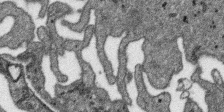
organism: Human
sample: Lung epithelial cells infected with SARS-CoV-2